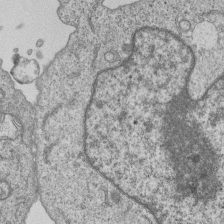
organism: Human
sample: MDA-MB-231 cells